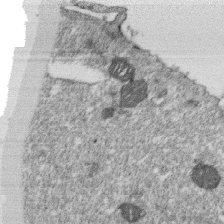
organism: African green monkey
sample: Vero E6 cells infected with SARS-CoV-2